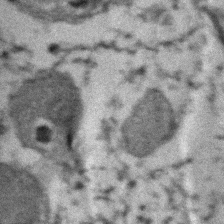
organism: Zebrafish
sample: Zebrafish embryo